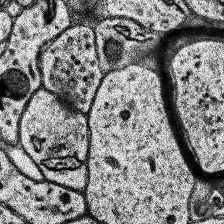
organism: Human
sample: Temporal Lobe